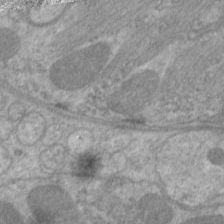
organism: C. elegans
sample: Pharynx